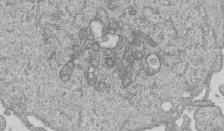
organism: Human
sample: MDA-MB-231 cells